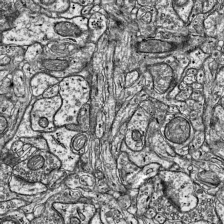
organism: Mouse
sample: Visual Cortex